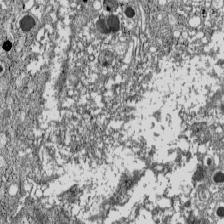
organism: C57BL Mouse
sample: Pancreatic islet